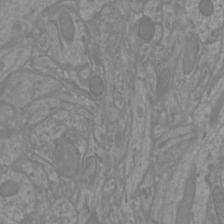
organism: Mouse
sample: Cortical neurons